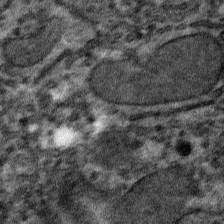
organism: Mouse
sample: Mouse hepatocytes